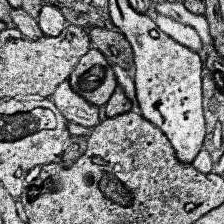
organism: Human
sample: Temporal Lobe